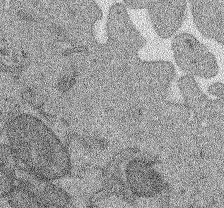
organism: Human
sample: HeLa cells